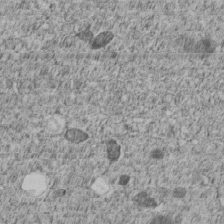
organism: C. elegans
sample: C. elegans embryo early stage